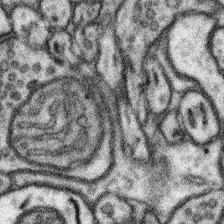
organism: Mouse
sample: Somatosensory cortex neuropil